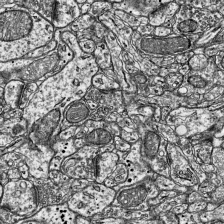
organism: Mouse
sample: Visual Cortex